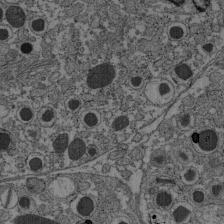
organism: C57BL Mouse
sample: Pancreatic islet